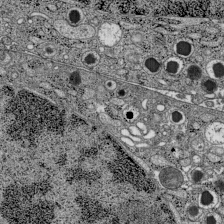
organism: C57BL Mouse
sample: Pancreatic islet